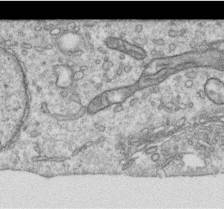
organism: Human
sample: Centriole in RPE cells